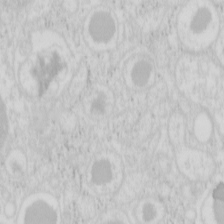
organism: Mouse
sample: Pancreas